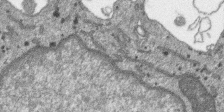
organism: Human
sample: Lung epithelial cells infected with SARS-CoV-2